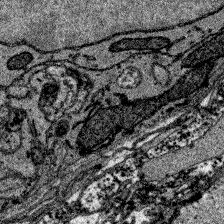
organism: Zebrafish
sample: Larval olfactory bulb